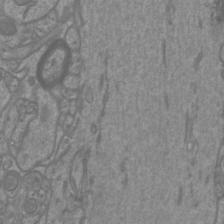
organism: Mouse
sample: Cortical neurons